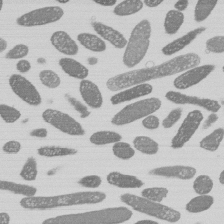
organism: E. coli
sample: Bacterial nucleoid